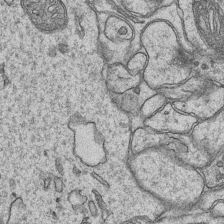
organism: Mouse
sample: CA1 Hippocampus